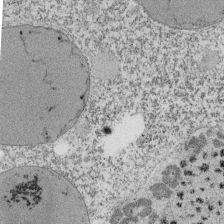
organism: Tetrahymena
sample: Cilia in tetrahymena